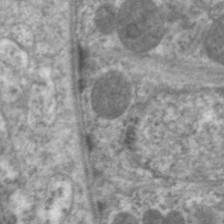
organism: C. elegans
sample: Pharynx